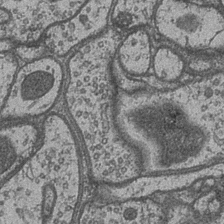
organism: Drosophila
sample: Optic medulla